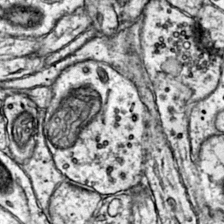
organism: Mouse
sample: Primary visual cortex